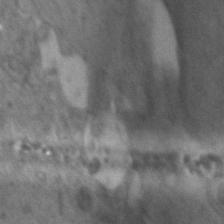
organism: Zebrafish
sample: Zebrafish embryo